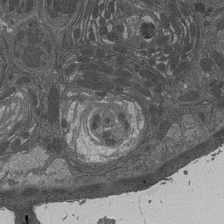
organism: Drosophila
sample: Antenna